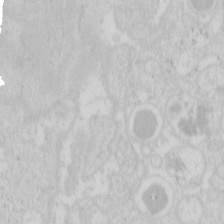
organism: Mouse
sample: Pancreas